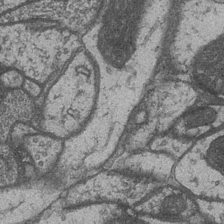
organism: Drosophila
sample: Optic medulla